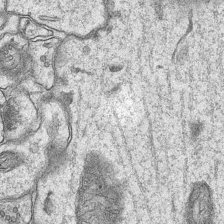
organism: Mouse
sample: CA1 Hippocampus